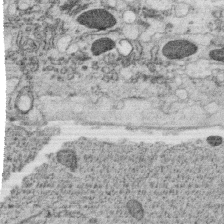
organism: C. elegans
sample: C. elegans oocyte; sperm cells